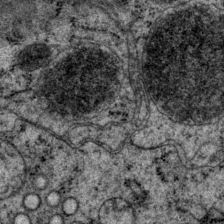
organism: P. pacificus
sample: Pharynx